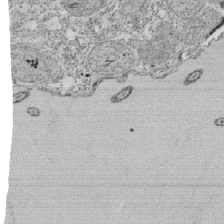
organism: Tetrahymena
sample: Cilia in tetrahymena